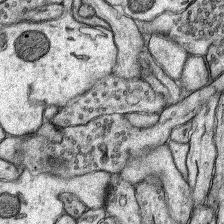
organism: Rat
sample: Hippocampus